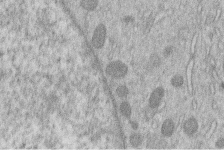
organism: Human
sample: Macrophage cells